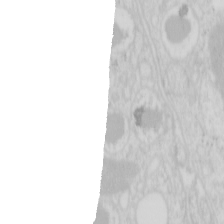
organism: Mouse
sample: Pancreas